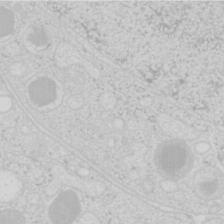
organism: Mouse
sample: Pancreas